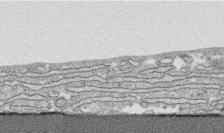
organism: Human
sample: CRL-1474